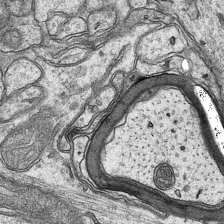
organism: Mouse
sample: CA1 Hippocampus